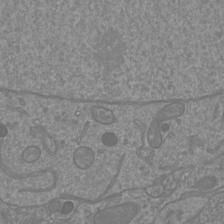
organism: Mouse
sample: Cortical neurons